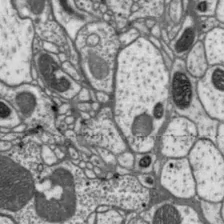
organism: Drosophila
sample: Protocerebral bridge